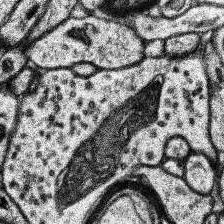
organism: Human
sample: Temporal Lobe